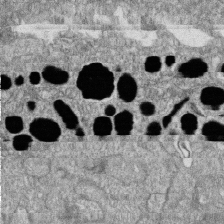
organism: Zebrafish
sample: Cilia; retinal pigment epithelium